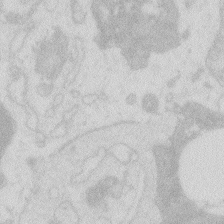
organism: Zebrafish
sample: Macrophage